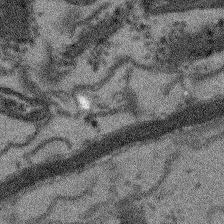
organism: Arabidopsis thaliana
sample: Root tip